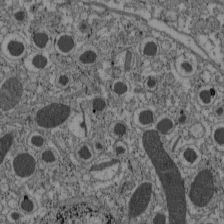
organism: C57BL Mouse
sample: Pancreatic islet